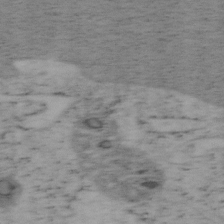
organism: Mouse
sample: OT-I killer T cells with ID8 ovarian cancer cells